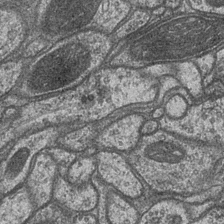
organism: Drosophila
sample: Optic medulla